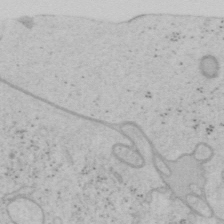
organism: Human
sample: HeLa cells